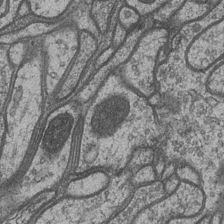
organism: Drosophila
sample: Optic medulla